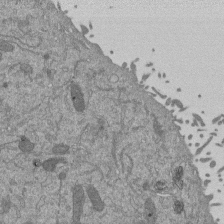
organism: Mouse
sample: ED-1 cell nuclei; centrioles